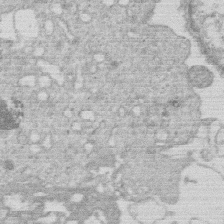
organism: Human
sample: Macrophage cells